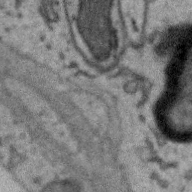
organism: Zebra finch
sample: Brain